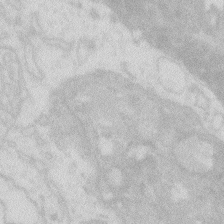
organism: Zebrafish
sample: Macrophage